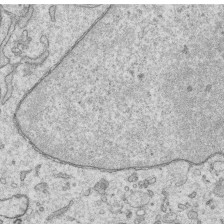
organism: Human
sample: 1205lu cells